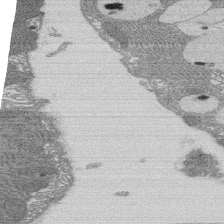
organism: Rat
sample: Salivary granule